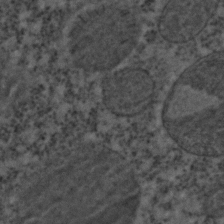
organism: C. elegans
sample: C. elegans embryo